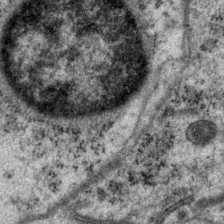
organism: P. pacificus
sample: Pharynx